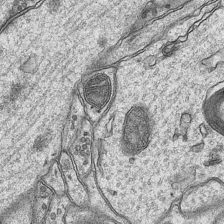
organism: Mouse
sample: CA1 Hippocampus